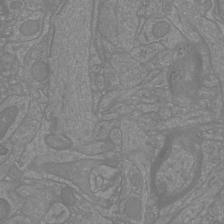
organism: Mouse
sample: Cortical neurons